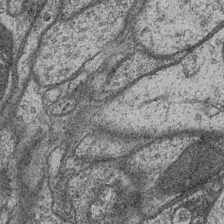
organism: Drosophila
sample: Optic medulla